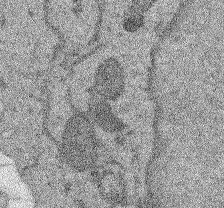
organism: Human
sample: HeLa cells